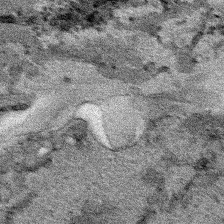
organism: Human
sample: Mitochondria in HCT116 cells